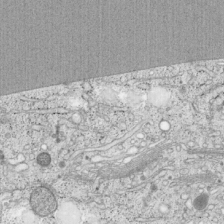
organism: African green monkey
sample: COS-7 cells